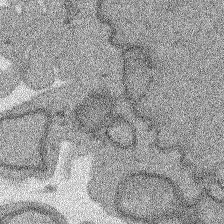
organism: Human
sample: HeLa cells